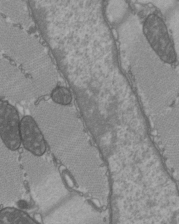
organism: C57BL Mouse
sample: Heart